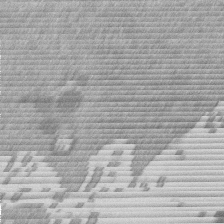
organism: Mouse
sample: Dividing mouse embryo 1 cell stage